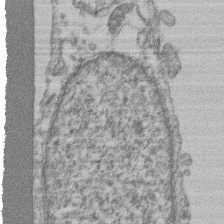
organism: Mouse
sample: T cell stromal cell synapse